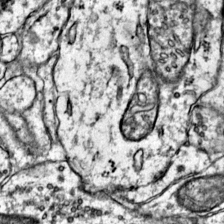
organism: Mouse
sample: Primary visual cortex